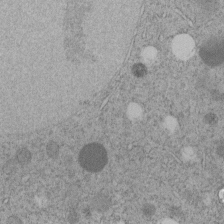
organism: C. elegans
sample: C. elegans embryo early stage